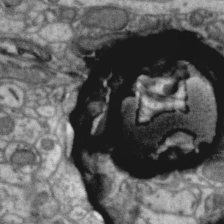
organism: Zebra finch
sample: Brain